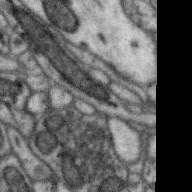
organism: Zebra finch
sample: Brain